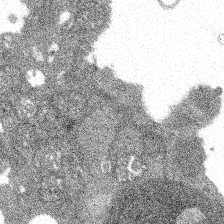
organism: Spongilla lacustris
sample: Multiple